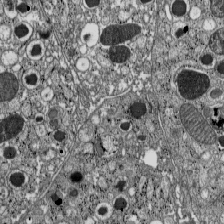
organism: C57BL Mouse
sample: Pancreatic islet